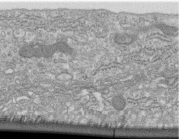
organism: Human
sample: Centriole in fibroblast cells